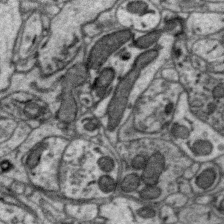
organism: Zebra finch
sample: Brain